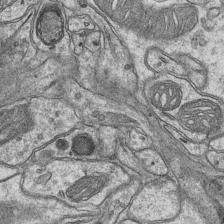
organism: Mouse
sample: CA1 Hippocampus